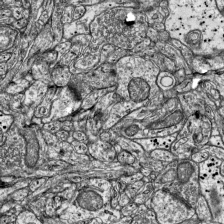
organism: Mouse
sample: Visual Cortex